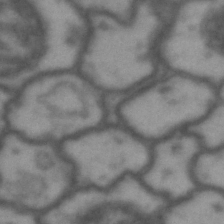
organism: Drosophila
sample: Brain